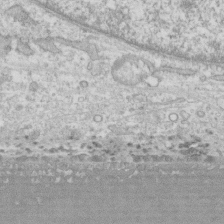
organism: Human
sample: CRL-1474